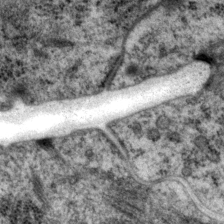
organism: P. pacificus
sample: Pharynx